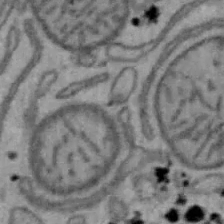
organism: Mouse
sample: Liver